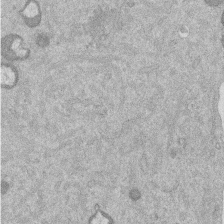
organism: Mouse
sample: Dividing mouse embryo 1 cell stage